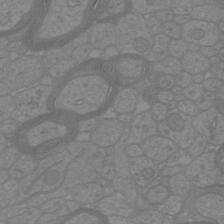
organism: Mouse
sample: Cortical neurons